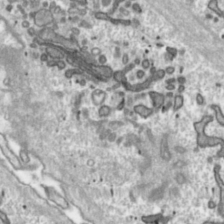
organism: Toxoplasma gondii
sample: Parasites in a vacuole inside a host cell